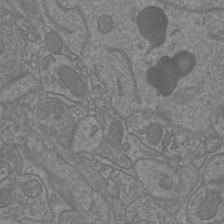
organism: Mouse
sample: Cortical neurons